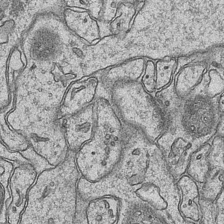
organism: Mouse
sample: CA1 Hippocampus